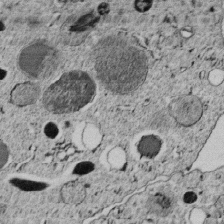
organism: C. elegans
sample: C. elegans embryo early stage